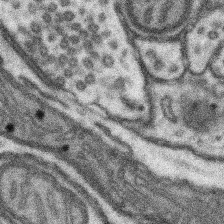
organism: Mouse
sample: Somatosensory cortex neuropil